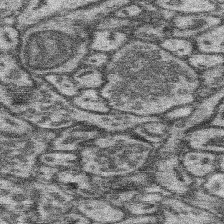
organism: Mouse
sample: Somatosensory cortex neuropil